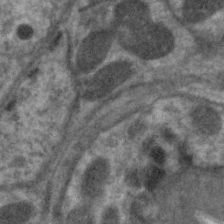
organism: C. elegans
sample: Pharynx